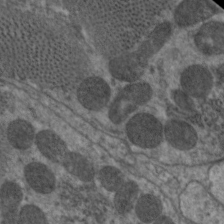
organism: C. elegans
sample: Pharynx